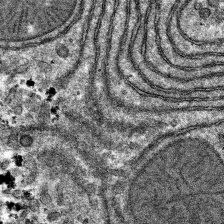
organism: Mouse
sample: Mouse hepatocytes